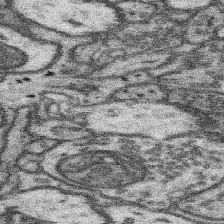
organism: Mouse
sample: Somatosensory cortex neuropil